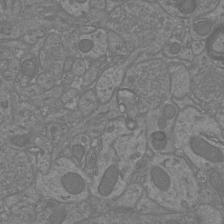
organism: Mouse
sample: Cortical neurons